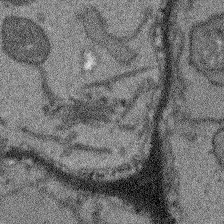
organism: Arabidopsis thaliana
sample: Root tip